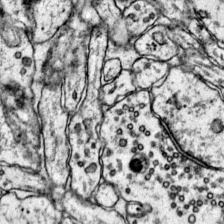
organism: Mouse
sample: Primary visual cortex